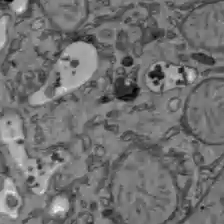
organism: C57BL Mouse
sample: Liver